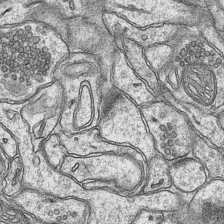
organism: Mouse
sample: CA1 Hippocampus